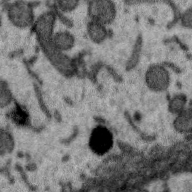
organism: Zebra finch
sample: Brain